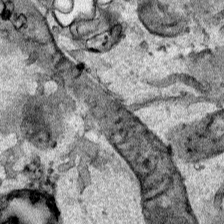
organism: Human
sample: Mitochondria in HCT116 cells